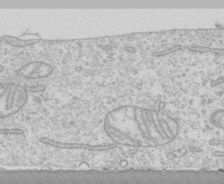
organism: Human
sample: CRL-1474